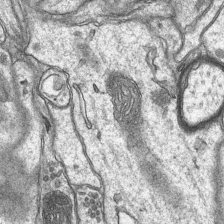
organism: Mouse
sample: CA1 Hippocampus